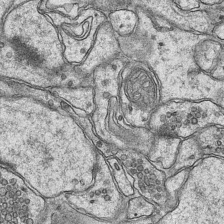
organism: Mouse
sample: CA1 Hippocampus